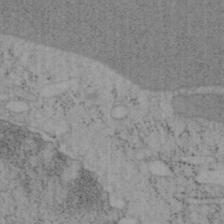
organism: Mouse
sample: OT-I killer T cells with ID8 ovarian cancer cells